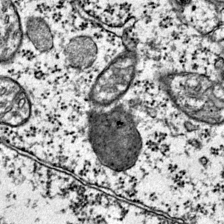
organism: Mouse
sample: Primary visual cortex